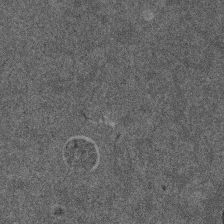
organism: Mouse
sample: Dividing mouse embryo 1 cell stage